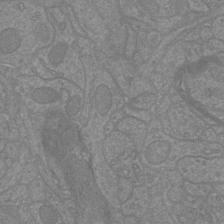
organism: Mouse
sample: Cortical neurons